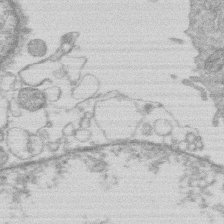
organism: Human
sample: Macrophage cells